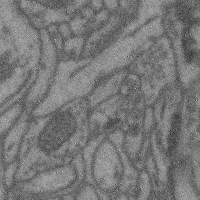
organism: Mouse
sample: Cerebral cortex